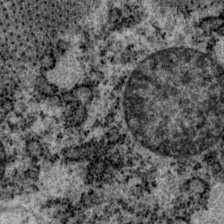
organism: P. pacificus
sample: Pharynx